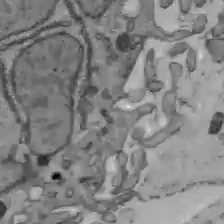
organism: C57BL Mouse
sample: Liver